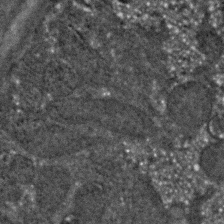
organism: C. elegans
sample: C. elegans embryo